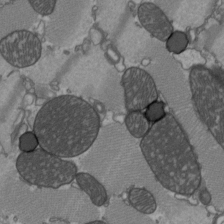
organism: C57BL Mouse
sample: Heart